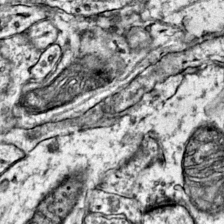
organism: Mouse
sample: Primary visual cortex